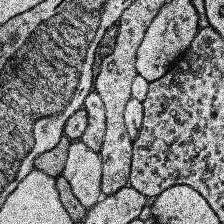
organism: Human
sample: Temporal Lobe